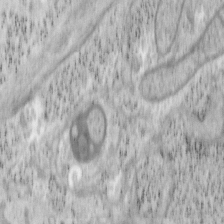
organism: Human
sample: HeLa cells